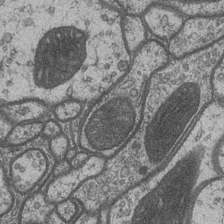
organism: Drosophila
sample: Optic medulla